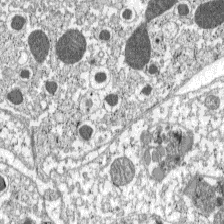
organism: C57BL Mouse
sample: Pancreatic islet